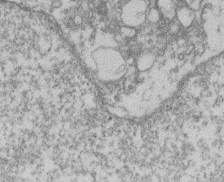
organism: Mouse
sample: T cell stromal cell synapse